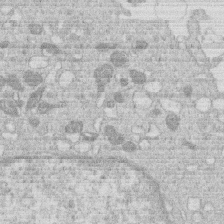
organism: Human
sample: Macrophage cells